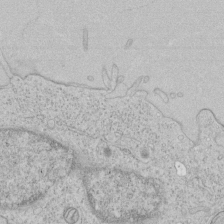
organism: Human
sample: Mitochondria in HCT116 cells